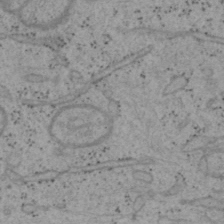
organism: Human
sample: HeLa cells